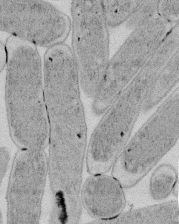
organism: E. coli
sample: Bacterial nucleoid